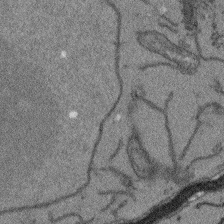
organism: Arabidopsis thaliana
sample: Root tip